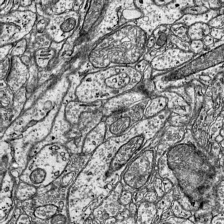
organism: Mouse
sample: Visual Cortex